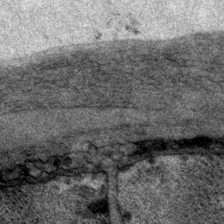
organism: P. pacificus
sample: Pharynx